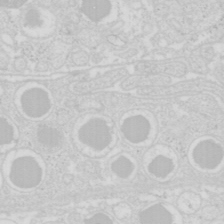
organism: Mouse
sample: Pancreas